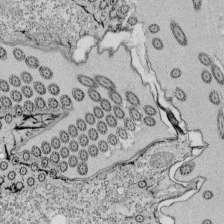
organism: Tetrahymena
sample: Cilia in tetrahymena